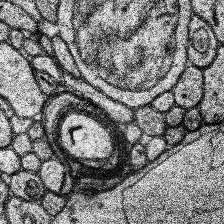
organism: Human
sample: Temporal Lobe